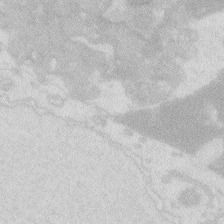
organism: Zebrafish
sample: Macrophage